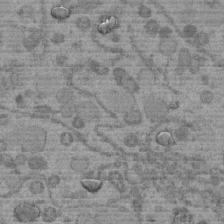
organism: C. elegans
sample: C. elegans embryo early stage